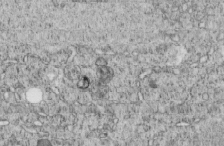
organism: C. elegans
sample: C. elegans embryo early stage